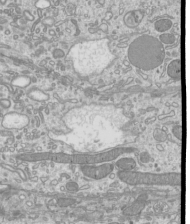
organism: Mouse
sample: Cilia; mouse epididymis